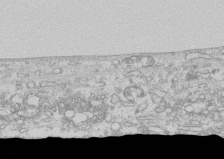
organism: Human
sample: CRL-1474